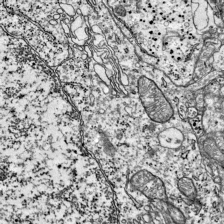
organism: Mouse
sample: Visual Cortex